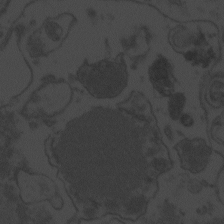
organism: Zebrafish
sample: Macrophage infected with Toxoplasma gondii